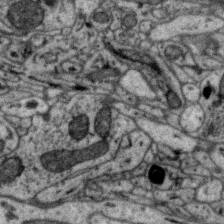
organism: Zebra finch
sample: Brain